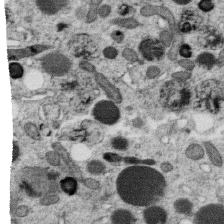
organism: C. elegans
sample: C. elegans oocyte; sperm cells